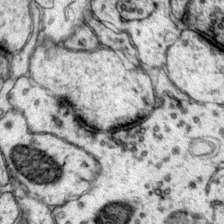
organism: Mouse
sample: Primary visual cortex